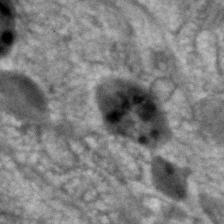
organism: Human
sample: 1205lu cells